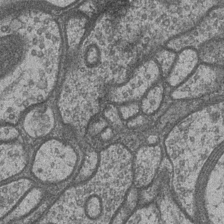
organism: Drosophila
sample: Optic medulla